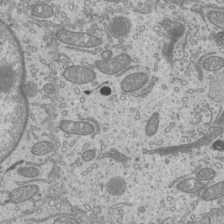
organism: Mouse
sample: Cilia; mouse epididymis